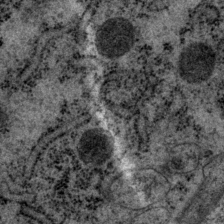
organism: P. pacificus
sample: Pharynx